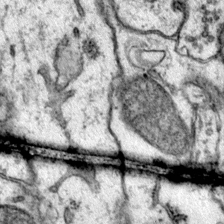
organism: Mouse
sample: Primary visual cortex